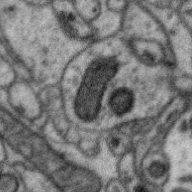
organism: Zebra finch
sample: Brain